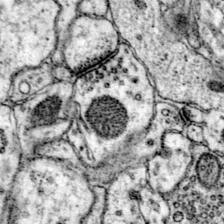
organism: Mouse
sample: Primary visual cortex